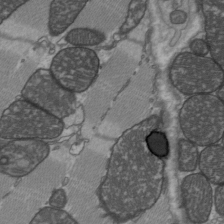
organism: C57BL Mouse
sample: Heart